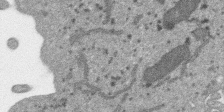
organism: Human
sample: Lung epithelial cells infected with SARS-CoV-2